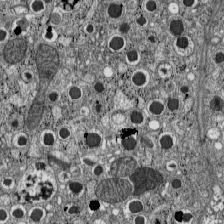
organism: C57BL Mouse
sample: Pancreatic islet